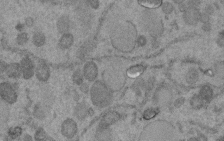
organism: C. elegans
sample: C. elegans embryo early stage